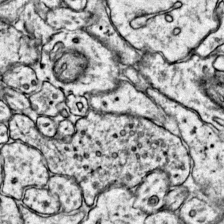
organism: Mouse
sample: Primary visual cortex